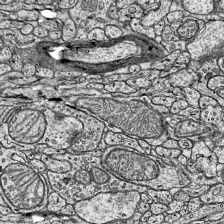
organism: Mouse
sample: Visual Cortex